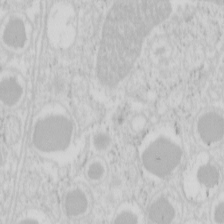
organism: Mouse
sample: Pancreas